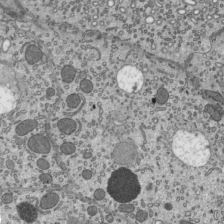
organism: Mouse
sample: Mouse epididymis efferent ductule cilia